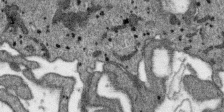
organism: Human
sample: Lung epithelial cells, uninfected (mock) control